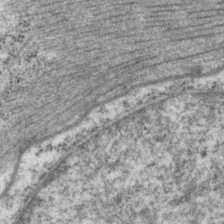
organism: P. pacificus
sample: Pharynx